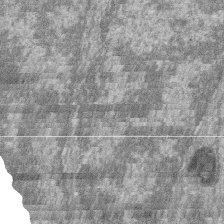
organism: Zebrafish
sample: Cilia; retinal pigment epithelium